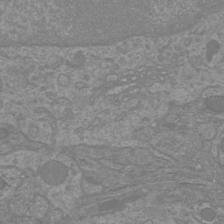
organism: Mouse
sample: Cortical neurons